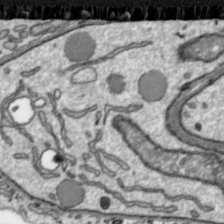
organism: Toxoplasma gondii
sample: Parasites in a vacuole inside a host cell